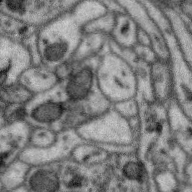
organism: Zebra finch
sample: Brain